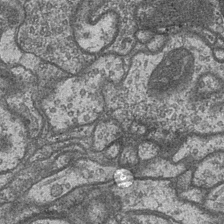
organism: Drosophila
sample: Optic medulla